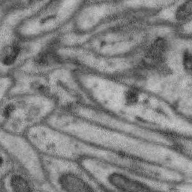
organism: Zebra finch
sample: Brain